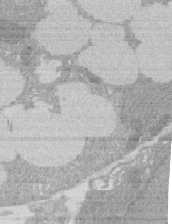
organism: Rat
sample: Salivary granule